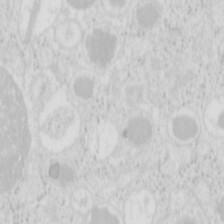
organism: Mouse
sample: Pancreas